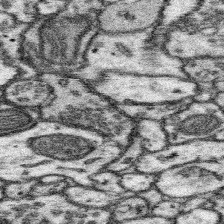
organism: Mouse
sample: Somatosensory cortex neuropil